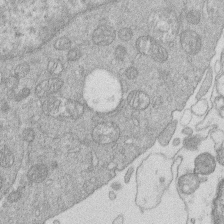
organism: Human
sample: Macrophage cells